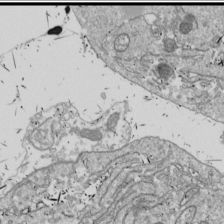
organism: Drosophila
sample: Cell division; meiosis; drosophila spermatocytes